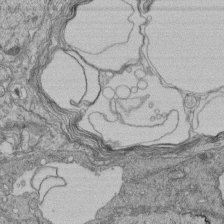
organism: Human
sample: Retinal organoid Rod and Cone cells